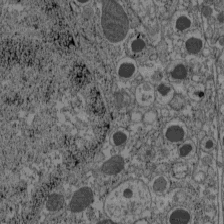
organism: C57BL Mouse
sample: Pancreatic islet